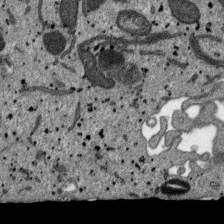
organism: Human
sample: Lung epithelial cells, uninfected (mock) control